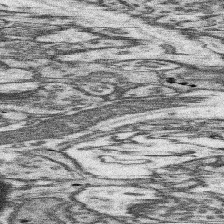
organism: Mouse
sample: Somatosensory cortex neuropil